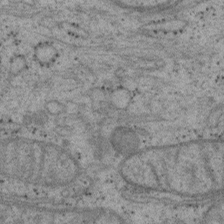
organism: Human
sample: HeLa cells